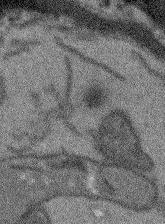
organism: Arabidopsis thaliana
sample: Root tip